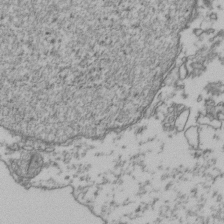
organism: Human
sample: Activated Jurkat CD4+ T cells